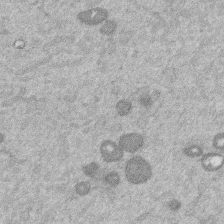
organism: Mouse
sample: Dividing mouse embryo 1 cell stage